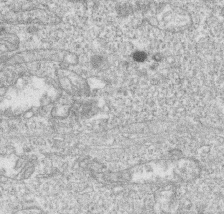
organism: Human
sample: HeLa cell HIV synapse